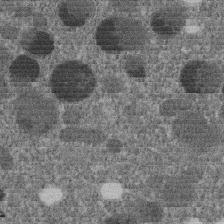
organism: C. elegans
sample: C. elegans embryo early stage